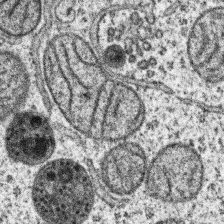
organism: Human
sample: HeLa cells